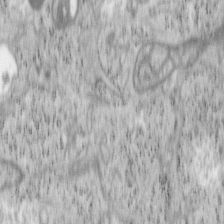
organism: Human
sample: HeLa cells